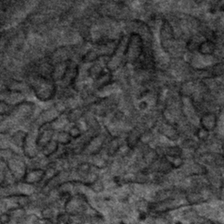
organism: Mouse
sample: Mouse hepatocytes